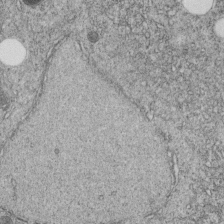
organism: C. elegans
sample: C. elegans embryo early stage